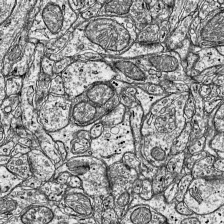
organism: Mouse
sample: Visual Cortex